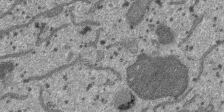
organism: Human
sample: Lung epithelial cells infected with SARS-CoV-2